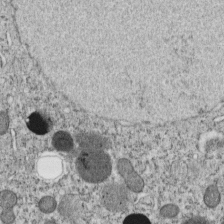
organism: C. elegans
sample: C. elegans embryo early stage